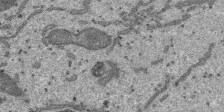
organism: Human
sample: Lung epithelial cells infected with SARS-CoV-2